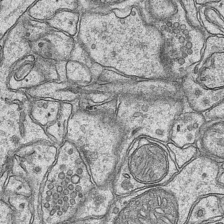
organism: Mouse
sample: CA1 Hippocampus